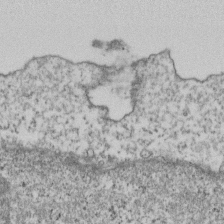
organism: Human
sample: Activated Jurkat CD4+ T cells